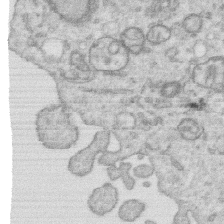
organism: Human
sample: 1205lu cells